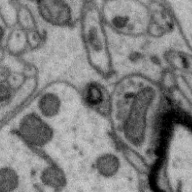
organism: Zebra finch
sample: Brain